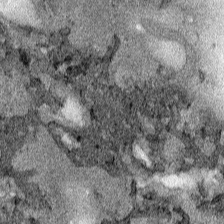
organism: Human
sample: Mitochondria in HCT116 cells